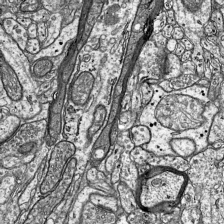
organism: Mouse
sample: Visual Cortex